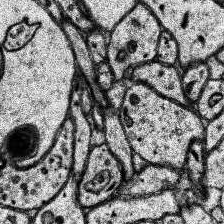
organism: Human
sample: Temporal Lobe